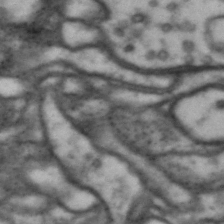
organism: Drosophila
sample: Brain